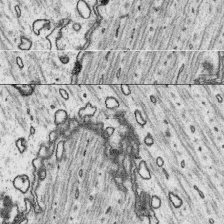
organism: Platynereis dumerilii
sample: Parapodia